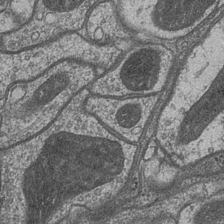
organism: Drosophila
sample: Optic medulla